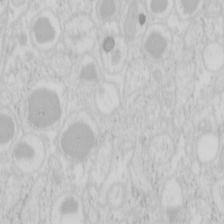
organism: Mouse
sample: Pancreas